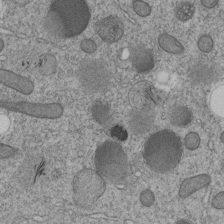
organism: C. elegans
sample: C. elegans embryo early stage